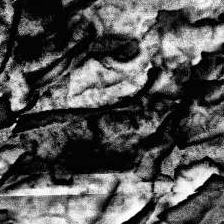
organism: Human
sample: Temporal Lobe